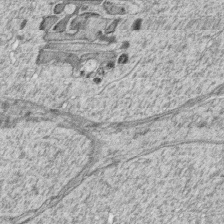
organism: Zebrafish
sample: synaptic ribbons in rod cells and cone cells